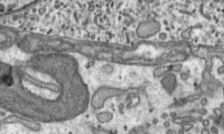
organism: Toxoplasma gondii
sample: Parasites in a vacuole inside a host cell